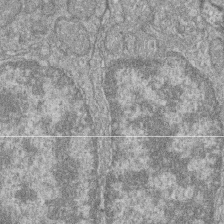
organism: Zebrafish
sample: Cilia; retinal pigment epithelium